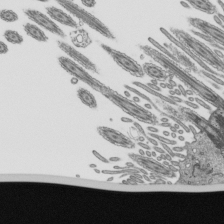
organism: Mouse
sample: Mouse epididymis efferent ductule cilia